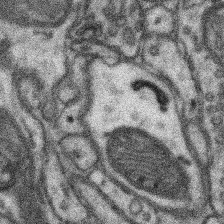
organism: Mouse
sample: Somatosensory cortex neuropil